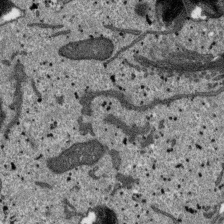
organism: Human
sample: Lung epithelial cells, uninfected (mock) control